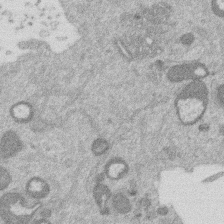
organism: Mouse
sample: Dividing mouse embryo 1 cell stage